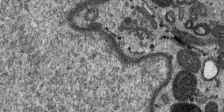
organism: Human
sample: Lung epithelial cells infected with SARS-CoV-2